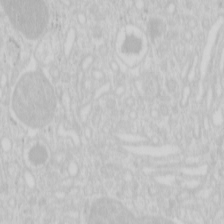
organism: Mouse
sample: Pancreas